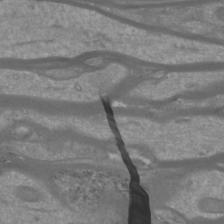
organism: Mouse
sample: Cortical neurons